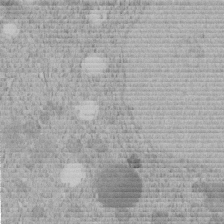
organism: C. elegans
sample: C. elegans embryo early stage